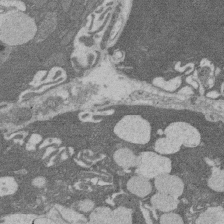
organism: Rat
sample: Salivary granule